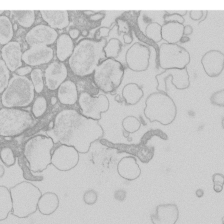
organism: Xenopus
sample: Cilia; centrioles in frog embryo cells